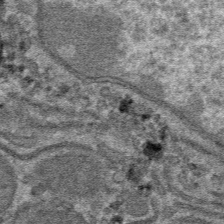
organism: Mouse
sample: Mouse hepatocytes